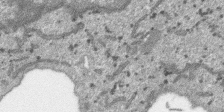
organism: Human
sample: Lung epithelial cells infected with SARS-CoV-2